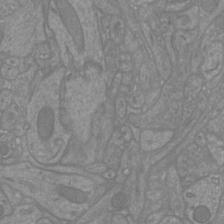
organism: Mouse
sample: Cortical neurons